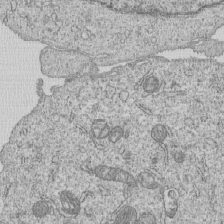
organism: Human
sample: MDA-MB-231 cells